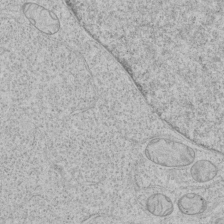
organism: Human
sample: Mitochondria in HCT116 cells